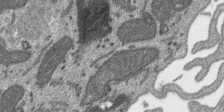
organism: Human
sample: Lung epithelial cells infected with SARS-CoV-2